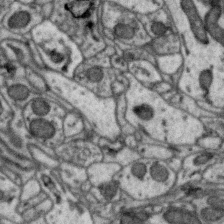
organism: Zebra finch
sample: Brain